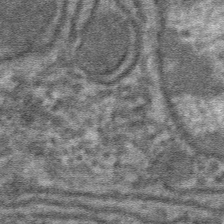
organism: Mouse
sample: Mouse hepatocytes